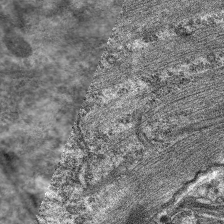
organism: C. elegans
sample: Pharynx